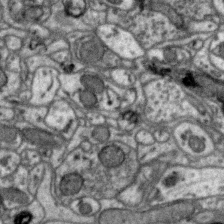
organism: Zebra finch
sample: Brain